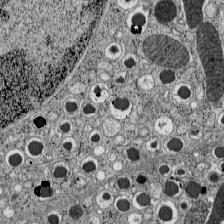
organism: C57BL Mouse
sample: Pancreatic islet